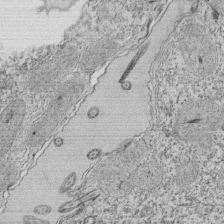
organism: Tetrahymena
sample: Cilia in tetrahymena